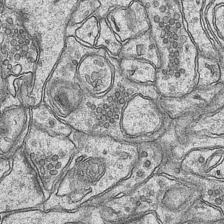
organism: Mouse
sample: CA1 Hippocampus